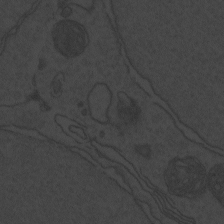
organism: Zebrafish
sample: Macrophage infected with Toxoplasma gondii